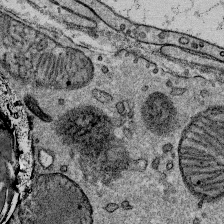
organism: Mouse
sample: Mouse Salivary gland